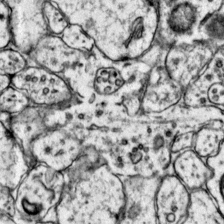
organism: Mouse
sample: Primary visual cortex